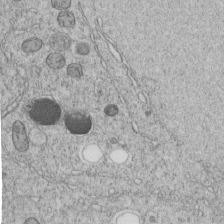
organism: C. elegans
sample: C. elegans embryo early stage